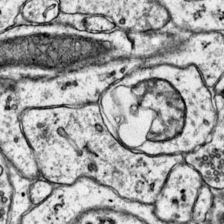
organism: Mouse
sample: Primary visual cortex